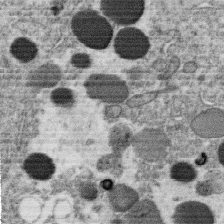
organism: C. elegans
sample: C. elegans oocyte; sperm cells